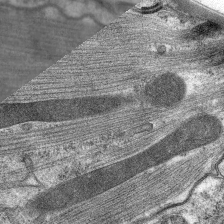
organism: C. elegans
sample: Pharynx